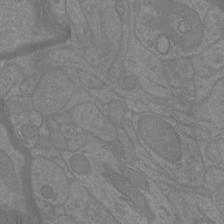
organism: Mouse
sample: Cortical neurons